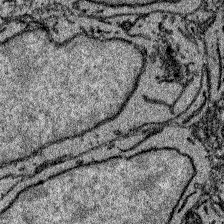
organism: Zebrafish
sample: Larval olfactory bulb